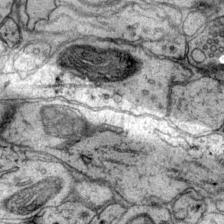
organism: Mouse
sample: Primary visual cortex